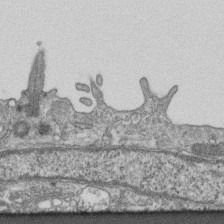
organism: Mouse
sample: Centriole in ependymal cells